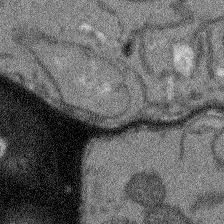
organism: Arabidopsis thaliana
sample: Root tip